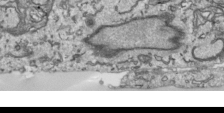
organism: Human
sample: Mitochondria in HCT116 cells